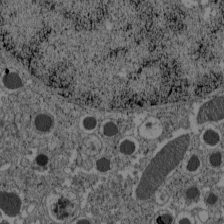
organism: C57BL Mouse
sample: Pancreatic islet